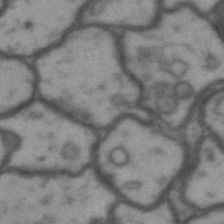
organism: Drosophila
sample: Brain